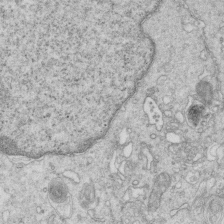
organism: Mouse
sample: Multiciliated cells